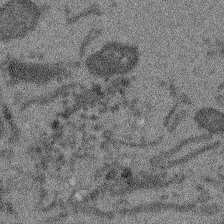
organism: Arabidopsis thaliana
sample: Root tip